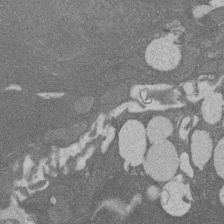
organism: Rat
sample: Salivary granule